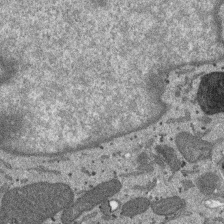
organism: Human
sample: Lung epithelial cells infected with SARS-CoV-2